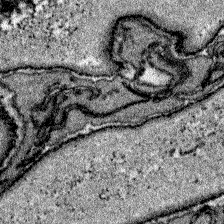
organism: Zebrafish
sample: Larval olfactory bulb